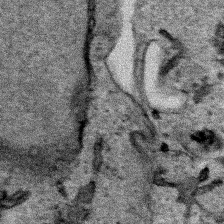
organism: Human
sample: Mitochondria in HCT116 cells